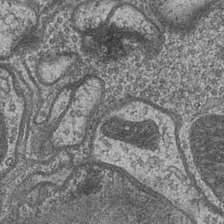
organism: Drosophila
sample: Optic medulla